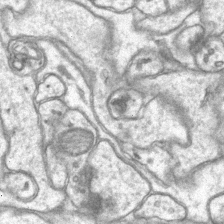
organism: Mouse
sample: CA1 Hippocampus